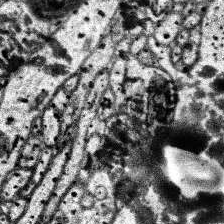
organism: Human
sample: Temporal Lobe